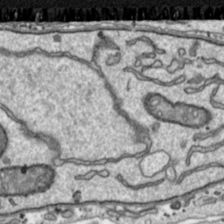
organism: Toxoplasma gondii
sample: Parasites in a vacuole inside a host cell